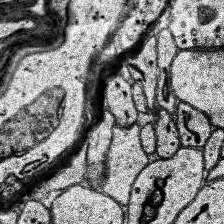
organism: Human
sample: Temporal Lobe